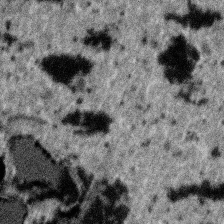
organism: Human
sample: Lung epithelial cells infected with SARS-CoV-2